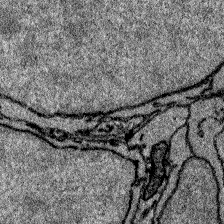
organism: Zebrafish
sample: Larval olfactory bulb